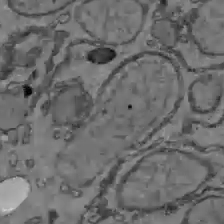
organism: C57BL Mouse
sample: Liver